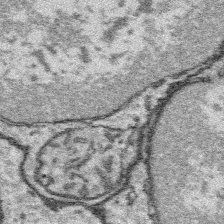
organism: Platynereis dumerilii